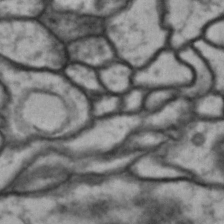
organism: Drosophila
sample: Brain